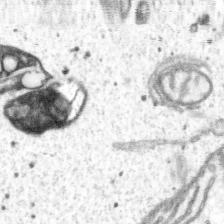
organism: Human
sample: HeLa cells